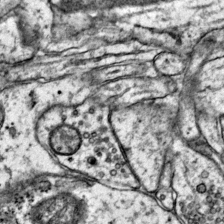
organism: Mouse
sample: Primary visual cortex